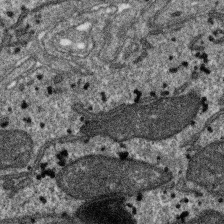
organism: Human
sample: Lung epithelial cells infected with SARS-CoV-2